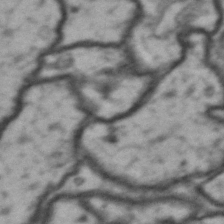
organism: Drosophila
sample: Brain